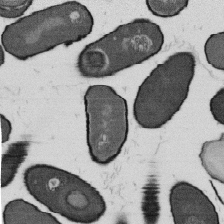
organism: B. subtilis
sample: Bacterial spore